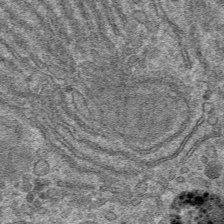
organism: Mouse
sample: Mouse hepatocytes